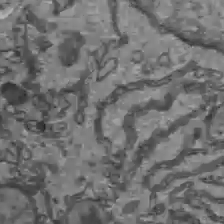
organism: C57BL Mouse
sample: Liver